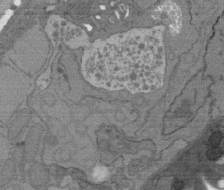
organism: C. elegans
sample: AFD neurons C. elegans